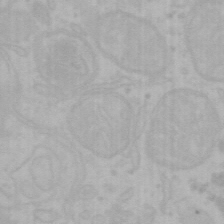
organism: Mouse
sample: Choroid plexus